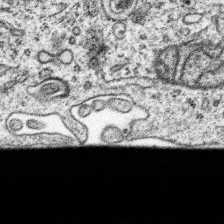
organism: Human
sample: HeLa cells